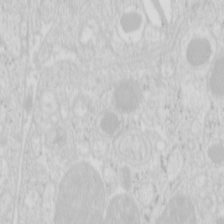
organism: Mouse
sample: Pancreas